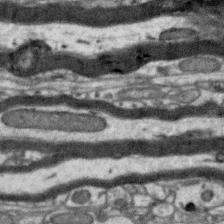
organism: Zebra finch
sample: Brain